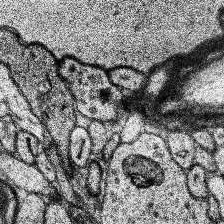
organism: Human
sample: Temporal Lobe